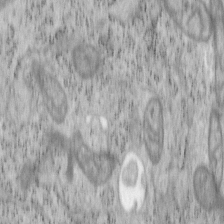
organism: Human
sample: HeLa cells